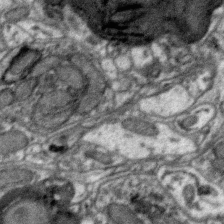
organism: Zebra finch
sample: Brain